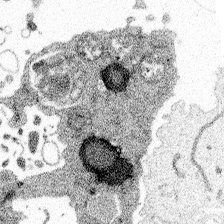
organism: Spongilla lacustris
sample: Multiple